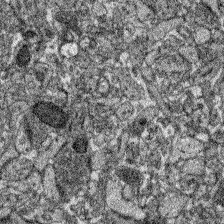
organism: Zebrafish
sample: Larval olfactory bulb